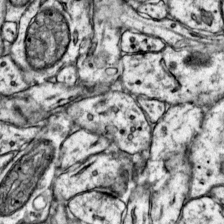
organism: Mouse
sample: Primary visual cortex